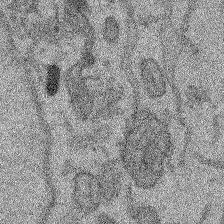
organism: Human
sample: HeLa cells